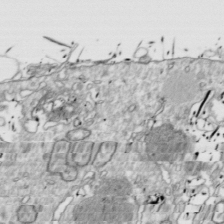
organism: Drosophila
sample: Cell division; meiosis; drosophila spermatocytes